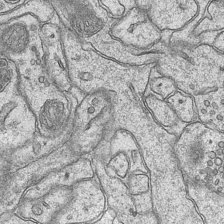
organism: Mouse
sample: CA1 Hippocampus